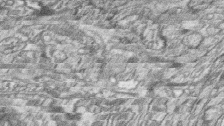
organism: Zebrafish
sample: synaptic ribbons in rod cells and cone cells